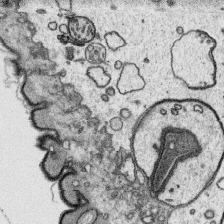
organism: Platynereis dumerilii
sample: Parapodia